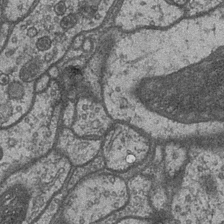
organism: Drosophila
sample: Optic medulla